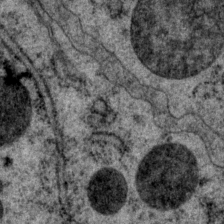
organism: P. pacificus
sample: Pharynx